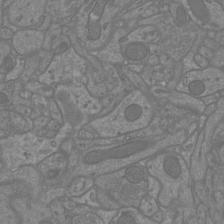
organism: Mouse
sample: Cortical neurons